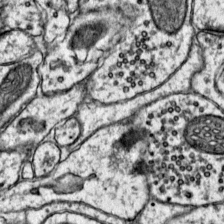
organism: Mouse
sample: Primary visual cortex